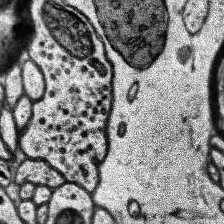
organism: Human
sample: Temporal Lobe